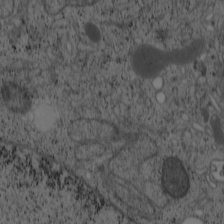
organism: African green monkey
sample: COS-7 cells